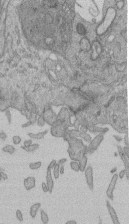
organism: Human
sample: Retinal organoid Rod and Cone cells